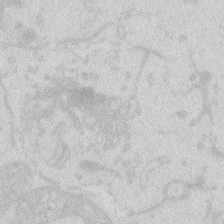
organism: Zebrafish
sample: Macrophage